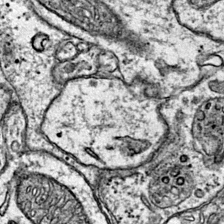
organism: Mouse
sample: Primary visual cortex